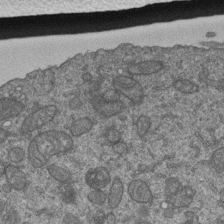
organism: Human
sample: Retinal organoid Rod and Cone cells